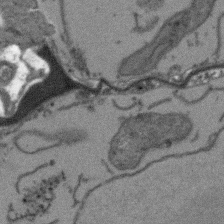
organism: Arabidopsis thaliana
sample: Root tip